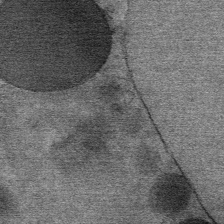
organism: Mouse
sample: Mouse Salivary gland